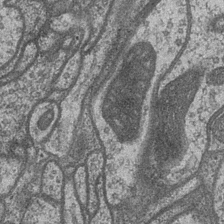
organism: Drosophila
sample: Optic medulla